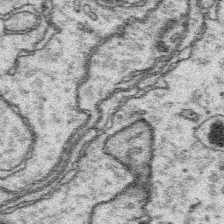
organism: Platynereis dumerilii